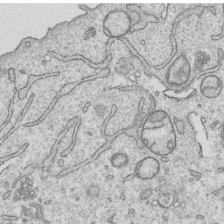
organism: Human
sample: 1205lu cells